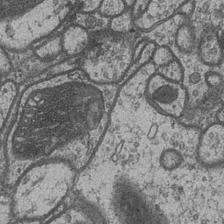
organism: Drosophila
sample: Optic medulla